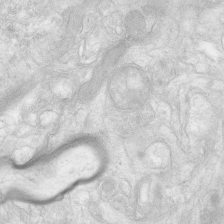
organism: Human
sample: Neocortex